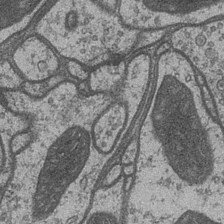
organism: Drosophila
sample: Optic medulla